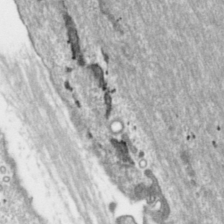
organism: Toxoplasma gondii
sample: Parasites in a vacuole inside a host cell